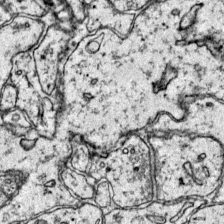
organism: Mouse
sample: Primary visual cortex